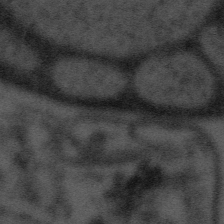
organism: Tuwongella immobilis